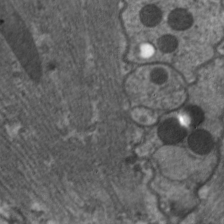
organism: C. elegans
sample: Pharynx